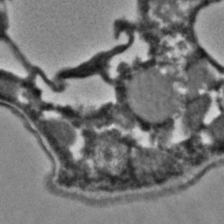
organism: C. elegans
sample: C. elegans embryo